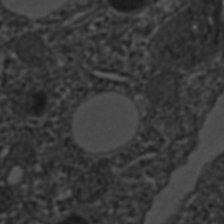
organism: C. elegans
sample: C. elegans embryo